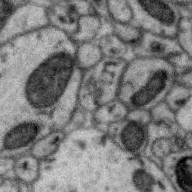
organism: Zebra finch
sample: Brain